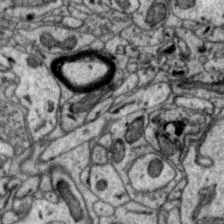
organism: Zebra finch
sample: Brain